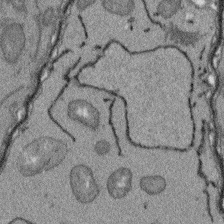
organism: Arabidopsis thaliana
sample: Root tip